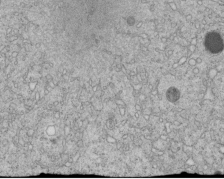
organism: C. elegans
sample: C. elegans embryo early stage